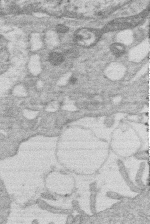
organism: Human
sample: Macrophage cells